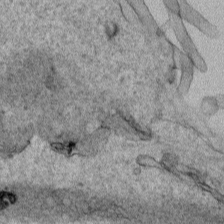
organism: Human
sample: Mitochondria in HCT116 cells